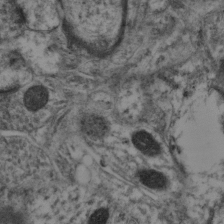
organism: Mouse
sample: Neocortex